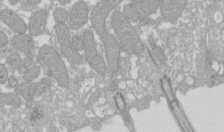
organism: Xenopus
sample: Cilia; centrioles in frog embryo cells